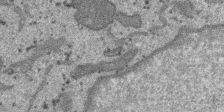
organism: Human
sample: Lung epithelial cells infected with SARS-CoV-2